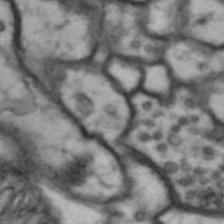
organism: Drosophila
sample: Brain